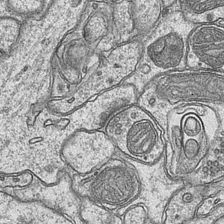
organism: Mouse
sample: CA1 Hippocampus